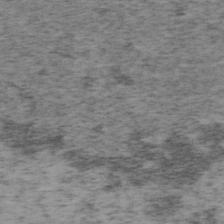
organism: Mouse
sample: OT-I killer T cells with ID8 ovarian cancer cells